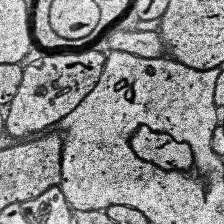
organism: Human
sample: Temporal Lobe